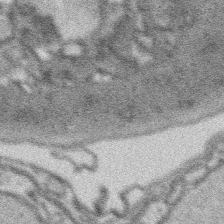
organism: Platynereis dumerilii